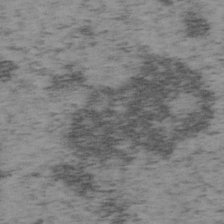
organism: Mouse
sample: OT-I killer T cells with ID8 ovarian cancer cells